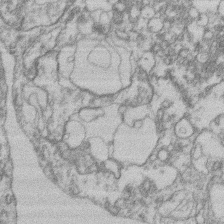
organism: Mouse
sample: T cell stromal cell synapse